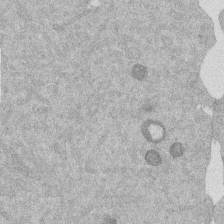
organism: Mouse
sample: Dividing mouse embryo 1 cell stage